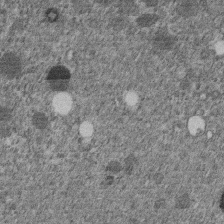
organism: C. elegans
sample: C. elegans embryo early stage